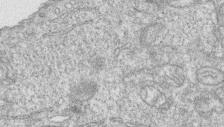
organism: Human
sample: HeLa cell HIV synapse